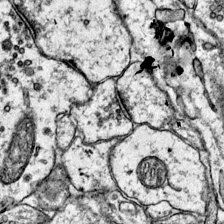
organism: Mouse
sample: Primary visual cortex